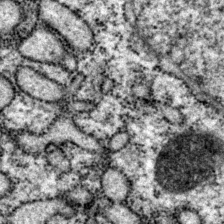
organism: P. pacificus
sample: Pharynx